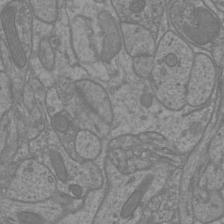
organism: Mouse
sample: Cortical neurons